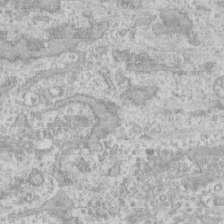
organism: Human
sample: CRL-1474